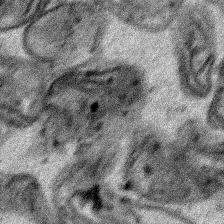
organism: Human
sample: Mitochondria in HCT116 cells